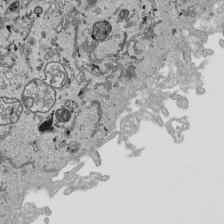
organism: Human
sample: Mitochondria in HCT116 cells